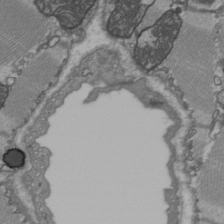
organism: C57BL Mouse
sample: Heart